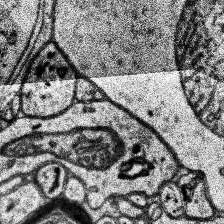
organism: Human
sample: Temporal Lobe